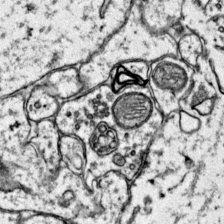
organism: Mouse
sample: Primary visual cortex